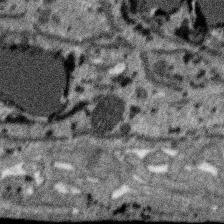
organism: Human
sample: Lung epithelial cells infected with SARS-CoV-2